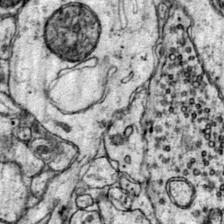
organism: Mouse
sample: Primary visual cortex